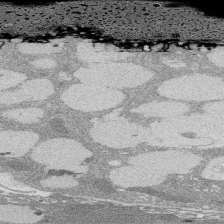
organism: Rat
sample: Salivary granule